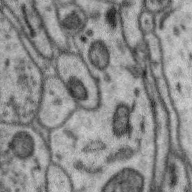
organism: Zebra finch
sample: Brain